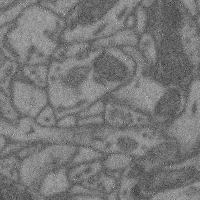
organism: Mouse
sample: Cerebral cortex